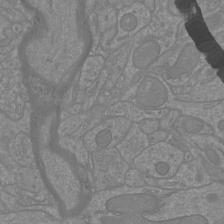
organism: Mouse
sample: Cortical neurons